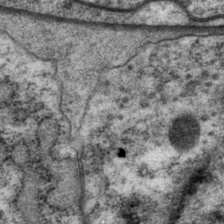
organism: P. pacificus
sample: Pharynx